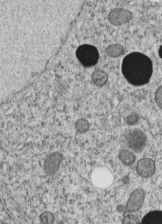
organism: C. elegans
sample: C. elegans embryo early stage